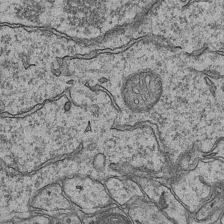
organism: Mouse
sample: CA1 Hippocampus